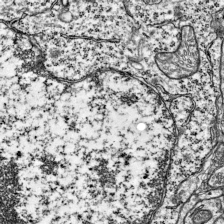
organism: Mouse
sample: Visual Cortex